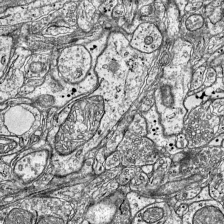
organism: Mouse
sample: Visual Cortex